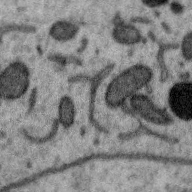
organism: Zebra finch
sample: Brain